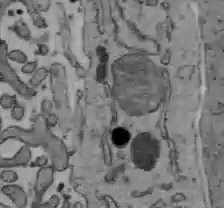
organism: C57BL Mouse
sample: Liver